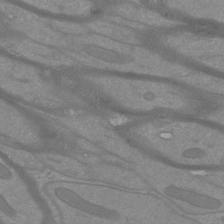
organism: Mouse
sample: Cortical neurons